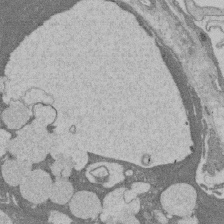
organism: Rat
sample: Salivary granule